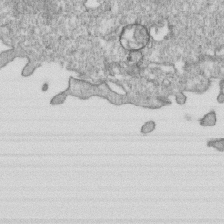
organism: Mouse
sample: Activated OT-1 CD8+ T cells